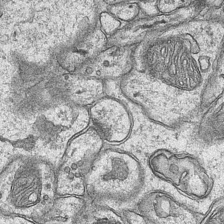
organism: Mouse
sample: CA1 Hippocampus